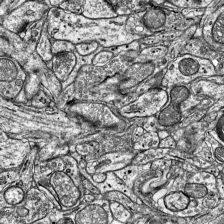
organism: Mouse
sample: Visual Cortex